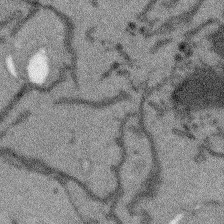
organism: Arabidopsis thaliana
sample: Root tip